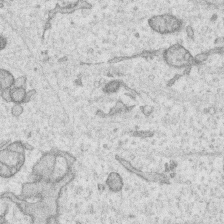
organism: Human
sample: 1205lu cells